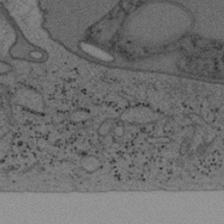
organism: Human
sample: HeLa cells